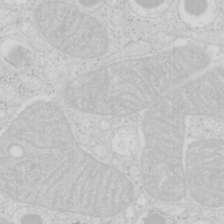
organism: Mouse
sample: Pancreas